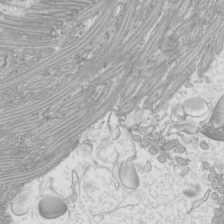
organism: Mouse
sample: Cilia; mouse epididymis